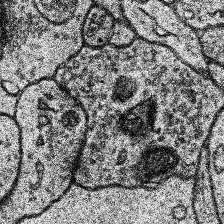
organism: Human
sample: Temporal Lobe